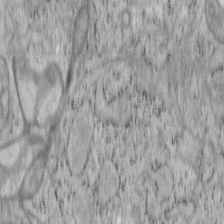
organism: Human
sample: HeLa cells